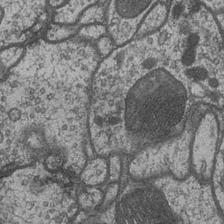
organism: Drosophila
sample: Optic medulla